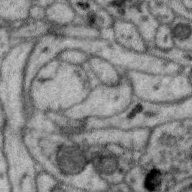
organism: Zebra finch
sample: Brain